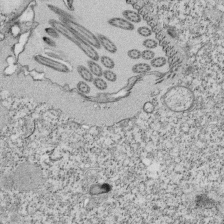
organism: Tetrahymena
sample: Cilia in tetrahymena